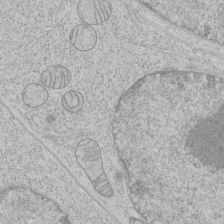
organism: Human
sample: Mitochondria in HCT116 cells